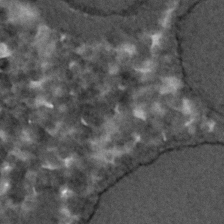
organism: C. elegans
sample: C. elegans embryo